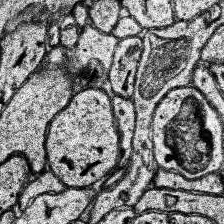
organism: Human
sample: Temporal Lobe